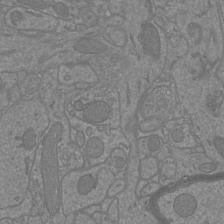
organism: Mouse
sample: Cortical neurons